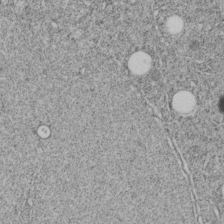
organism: C. elegans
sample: C. elegans embryo early stage